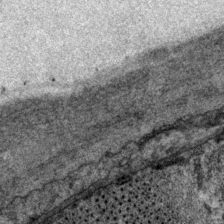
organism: P. pacificus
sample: Pharynx